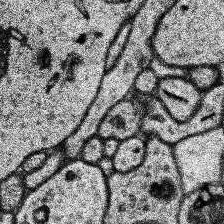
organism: Human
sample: Temporal Lobe